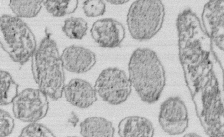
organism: E. coli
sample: Bacterial nucleoid